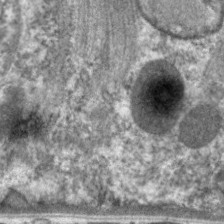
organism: C. elegans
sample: Pharynx